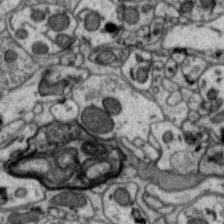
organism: Zebra finch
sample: Brain